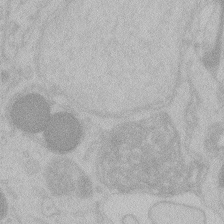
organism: Zebrafish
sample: Macrophage infected with Toxoplasma gondii